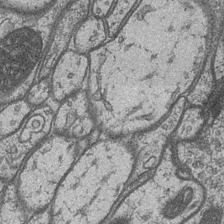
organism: Drosophila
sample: Optic medulla